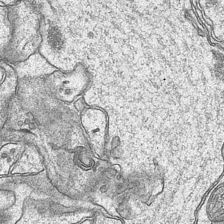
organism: Mouse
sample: CA1 Hippocampus